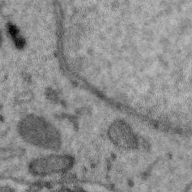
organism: Zebra finch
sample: Brain